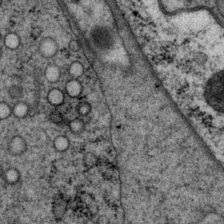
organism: P. pacificus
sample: Pharynx